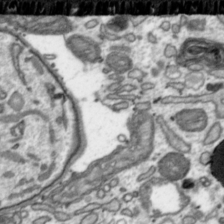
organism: Toxoplasma gondii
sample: Parasites in a vacuole inside a host cell